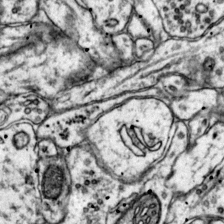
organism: Mouse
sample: Primary visual cortex